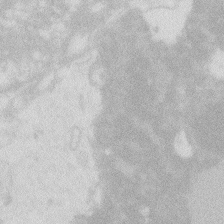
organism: Zebrafish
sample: Macrophage